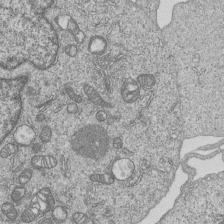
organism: Human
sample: MDA-MB-231 cells